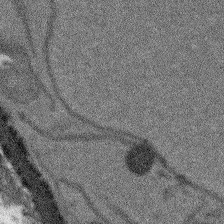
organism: Arabidopsis thaliana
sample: Root tip